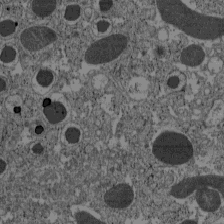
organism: C57BL Mouse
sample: Pancreatic islet